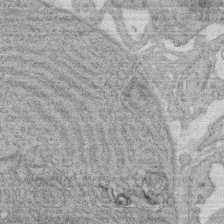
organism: Rat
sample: Salivary granule